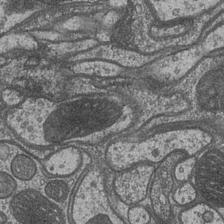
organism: Drosophila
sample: Optic medulla